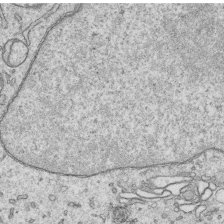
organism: Human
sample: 1205lu cells